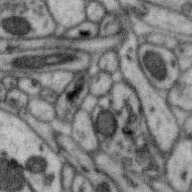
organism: Zebra finch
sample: Brain